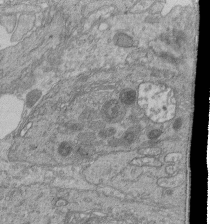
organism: Human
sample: Retinal organoid Rod and Cone cells